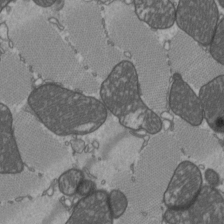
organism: C57BL Mouse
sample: Heart